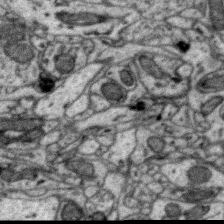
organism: Zebra finch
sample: Brain